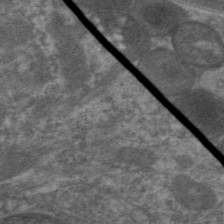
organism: C. elegans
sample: Pharynx